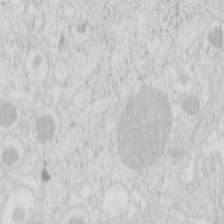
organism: Mouse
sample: Pancreas